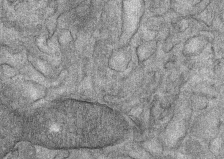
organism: Mouse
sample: Mouse Salivary gland